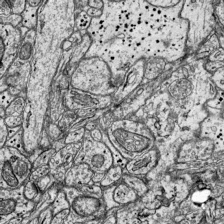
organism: Mouse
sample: Visual Cortex